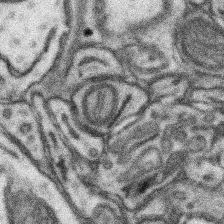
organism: Mouse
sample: Somatosensory cortex neuropil